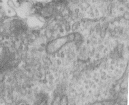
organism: Human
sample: Centriole in RPE cells